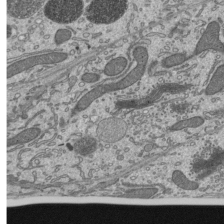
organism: Mouse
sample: Mouse epididymis efferent ductule cilia